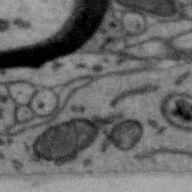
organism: Zebra finch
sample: Brain